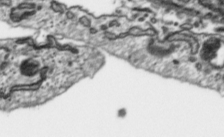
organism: Toxoplasma gondii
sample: Parasites in a vacuole inside a host cell